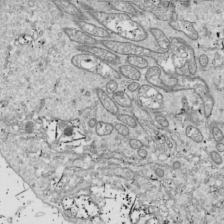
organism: Drosophila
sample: Cell division; meiosis; drosophila spermatocytes